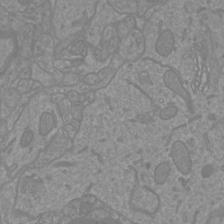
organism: Mouse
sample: Cortical neurons